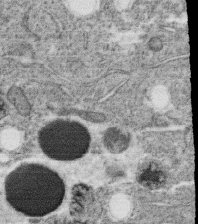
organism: C. elegans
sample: C. elegans oocyte; sperm cells